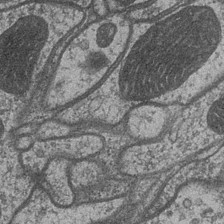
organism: Drosophila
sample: Optic medulla